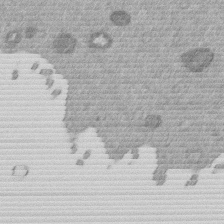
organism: Mouse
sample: Dividing mouse embryo 1 cell stage